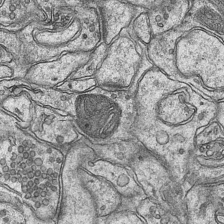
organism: Mouse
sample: CA1 Hippocampus